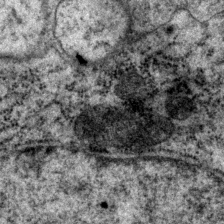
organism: P. pacificus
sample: Pharynx